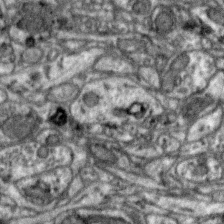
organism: Zebra finch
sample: Brain